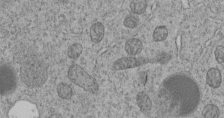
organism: C. elegans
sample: C. elegans embryo early stage